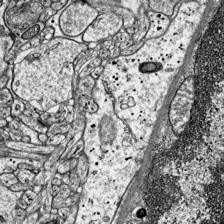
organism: Mouse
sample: Visual Cortex